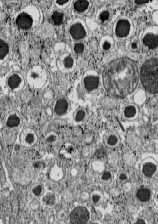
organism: C57BL Mouse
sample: Pancreatic islet